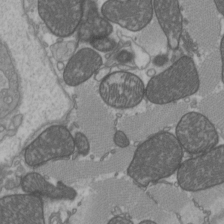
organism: C57BL Mouse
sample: Heart